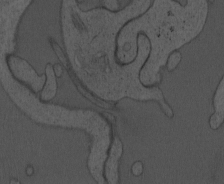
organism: Mouse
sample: OT-I killer T cells with ID8 ovarian cancer cells